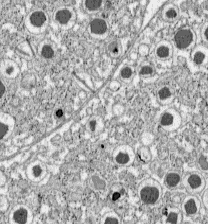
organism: C57BL Mouse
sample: Pancreatic islet